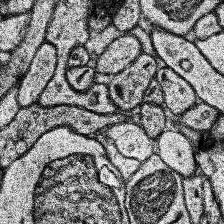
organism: Human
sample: Temporal Lobe